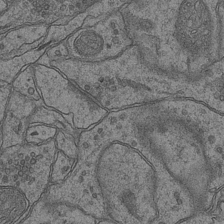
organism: Mouse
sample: CA1 Hippocampus